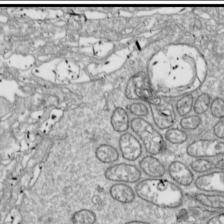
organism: Drosophila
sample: Cell division; meiosis; drosophila spermatocytes